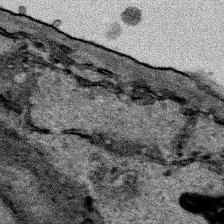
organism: Human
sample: Mitochondria in HCT116 cells